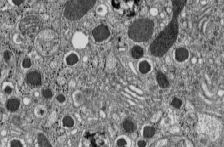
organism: C57BL Mouse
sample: Pancreatic islet